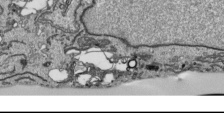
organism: Human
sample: Mitochondria in HCT116 cells